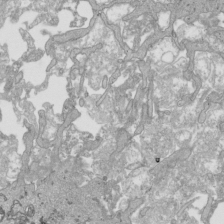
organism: Human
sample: Mitochondria in HCT116 cells